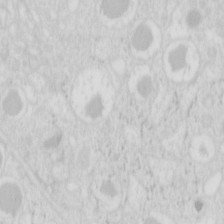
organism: Mouse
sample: Pancreas